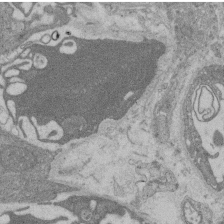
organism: Rat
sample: Salivary granule